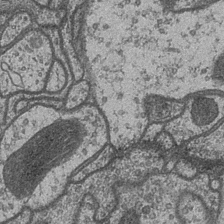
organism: Drosophila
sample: Optic medulla